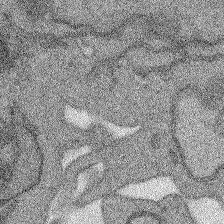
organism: Human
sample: HeLa cells